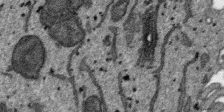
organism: Human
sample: Lung epithelial cells, uninfected (mock) control